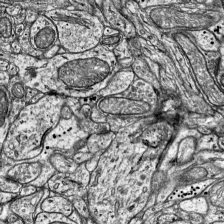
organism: Mouse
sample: Visual Cortex